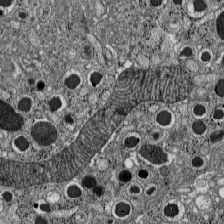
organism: C57BL Mouse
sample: Pancreatic islet